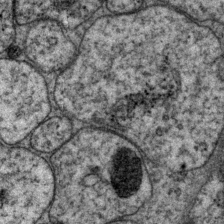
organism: P. pacificus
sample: Pharynx